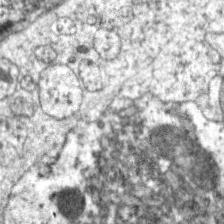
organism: C. elegans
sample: Pharynx